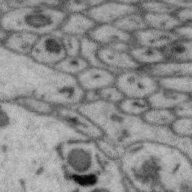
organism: Zebra finch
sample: Brain